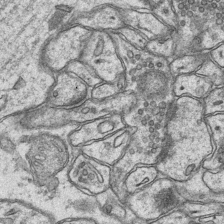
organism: Mouse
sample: CA1 Hippocampus